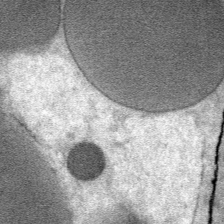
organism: Mouse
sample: Mouse Salivary gland